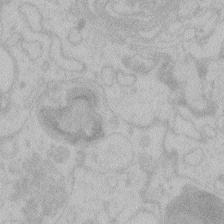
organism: Zebrafish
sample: Macrophage infected with Toxoplasma gondii